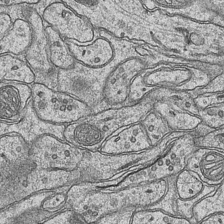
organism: Mouse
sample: CA1 Hippocampus